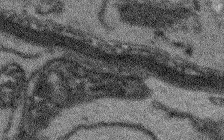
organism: Arabidopsis thaliana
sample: Root tip